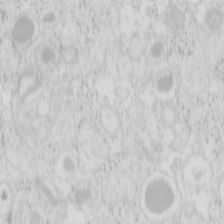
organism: Mouse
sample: Pancreas